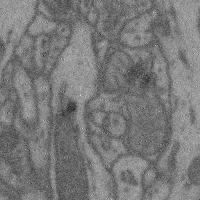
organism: Mouse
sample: Cerebral cortex